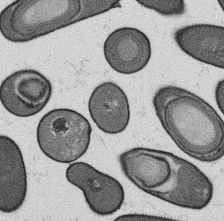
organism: B. subtilis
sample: Bacterial spore